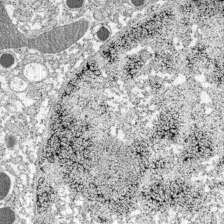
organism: C57BL Mouse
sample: Pancreatic islet